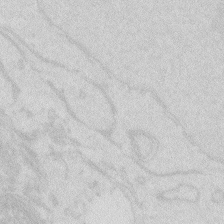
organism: Zebrafish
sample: Macrophage